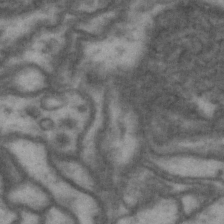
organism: Drosophila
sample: Brain